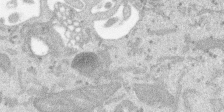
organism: Human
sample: Lung epithelial cells infected with SARS-CoV-2